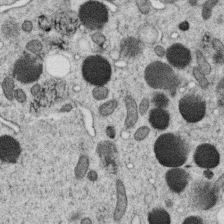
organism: C. elegans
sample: C. elegans oocyte; sperm cells